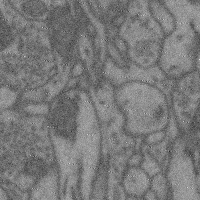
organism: Mouse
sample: Cerebral cortex